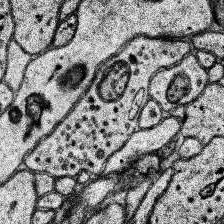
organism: Human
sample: Temporal Lobe